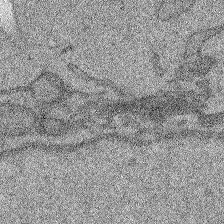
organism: Human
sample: HeLa cells